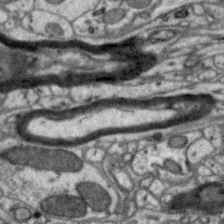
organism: Zebra finch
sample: Brain